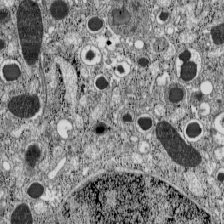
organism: C57BL Mouse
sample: Pancreatic islet